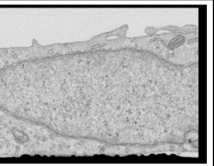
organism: Human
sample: Centriole in RPE cells